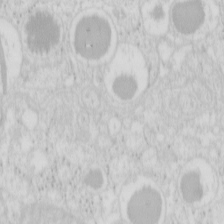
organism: Mouse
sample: Pancreas